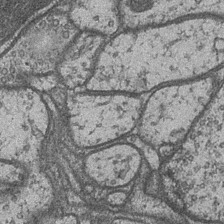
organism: Drosophila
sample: Optic medulla